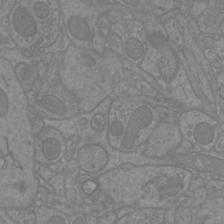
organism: Mouse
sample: Cortical neurons